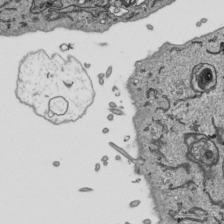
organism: Human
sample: Mitochondria in HCT116 cells